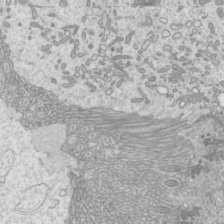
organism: Mouse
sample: Cilia; mouse epididymis